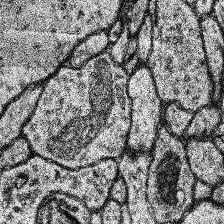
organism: Human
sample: Temporal Lobe